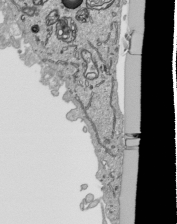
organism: Human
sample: Mitochondria in HCT116 cells